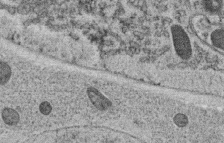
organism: C. elegans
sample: C. elegans oocyte; sperm cells